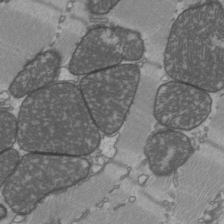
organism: C57BL Mouse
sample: Heart